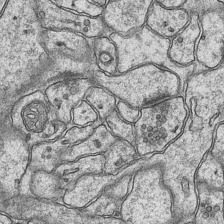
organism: Mouse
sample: CA1 Hippocampus